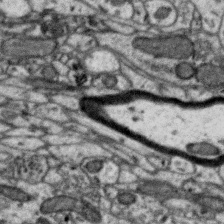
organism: Zebra finch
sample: Brain